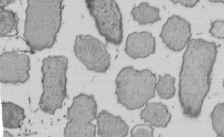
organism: E. coli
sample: Bacterial nucleoid